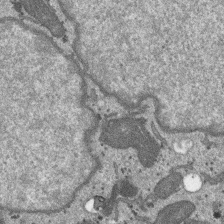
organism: Human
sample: Lung epithelial cells infected with SARS-CoV-2